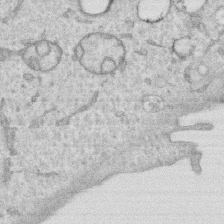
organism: Human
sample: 1205lu cells